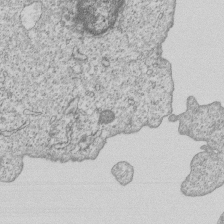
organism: Human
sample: MDA-MB-231 cells